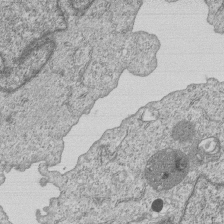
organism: Human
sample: MDA-MB-231 cells